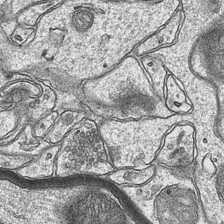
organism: Mouse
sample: CA1 Hippocampus